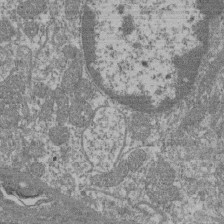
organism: Mouse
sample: Glomerulus